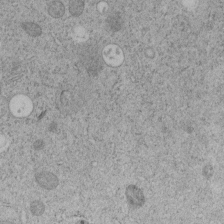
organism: C. elegans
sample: C. elegans embryo early stage